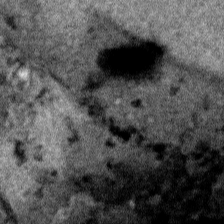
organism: Human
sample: Mitochondria in HCT116 cells